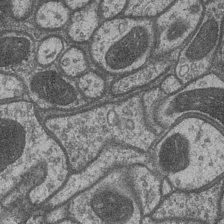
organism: Drosophila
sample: Optic medulla